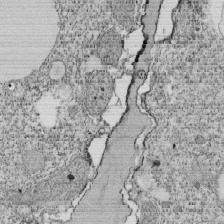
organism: Tetrahymena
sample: Cilia in tetrahymena